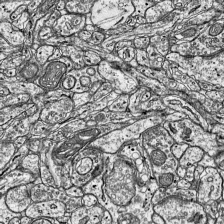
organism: Mouse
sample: Visual Cortex